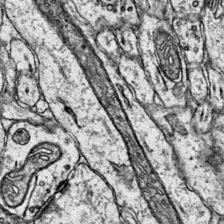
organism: Mouse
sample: Primary visual cortex